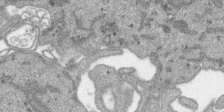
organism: Human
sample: Lung epithelial cells infected with SARS-CoV-2